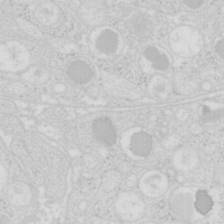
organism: Mouse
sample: Pancreas